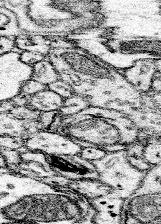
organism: Mouse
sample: Somatosensory cortex neuropil